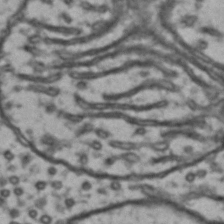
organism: Drosophila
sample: Brain